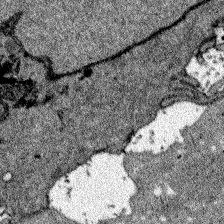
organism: Zebrafish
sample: Larval olfactory bulb